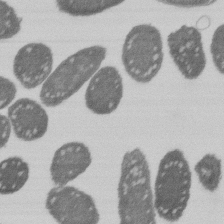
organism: E. coli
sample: Bacterial nucleoid